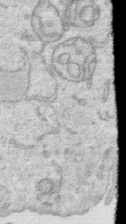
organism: Human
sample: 1205lu cells